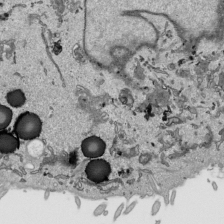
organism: Human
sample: Mitochondria in HCT116 cells